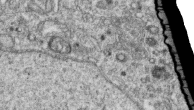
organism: Human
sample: HeLa cell HIV synapse